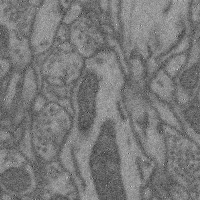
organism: Mouse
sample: Cerebral cortex